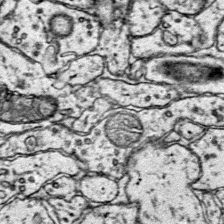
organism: Mouse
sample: Primary visual cortex